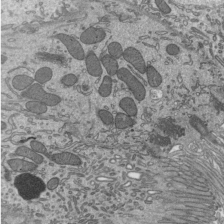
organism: Mouse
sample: Mouse epididymis efferent ductule cilia